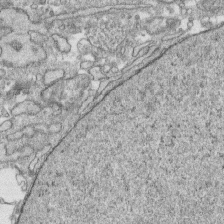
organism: Human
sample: CRL-1474